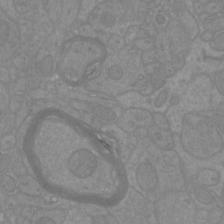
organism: Mouse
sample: Cortical neurons